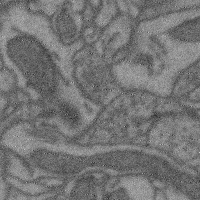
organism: Mouse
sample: Cerebral cortex